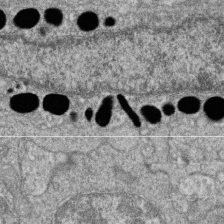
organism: Zebrafish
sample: Cilia; retinal pigment epithelium